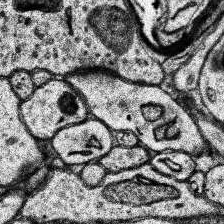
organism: Human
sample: Temporal Lobe